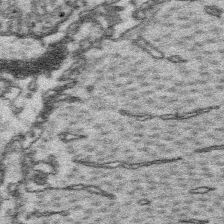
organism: Platynereis dumerilii